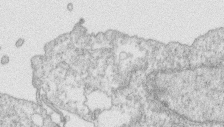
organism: Human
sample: HeLa cell HIV synapse